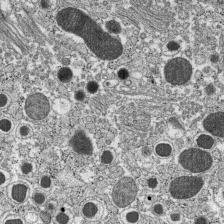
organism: C57BL Mouse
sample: Pancreatic islet